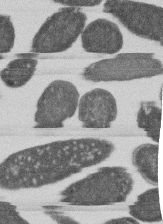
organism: E. coli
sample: Bacterial nucleoid